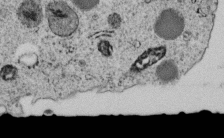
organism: C. elegans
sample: C. elegans embryo early stage